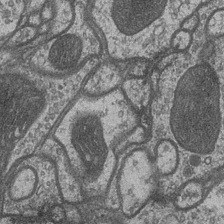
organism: Drosophila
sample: Optic medulla